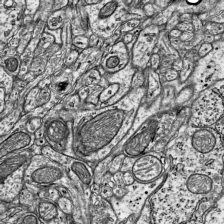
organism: Mouse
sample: Visual Cortex